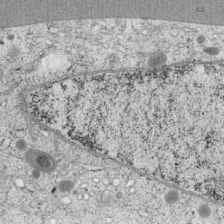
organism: African green monkey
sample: COS-7 cells